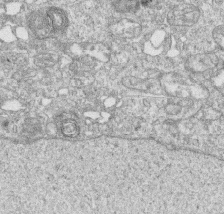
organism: Human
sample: HeLa cell HIV synapse